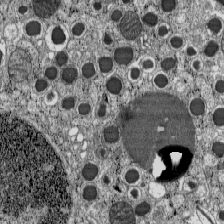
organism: C57BL Mouse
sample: Pancreatic islet